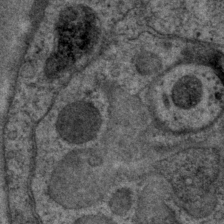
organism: P. pacificus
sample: Pharynx